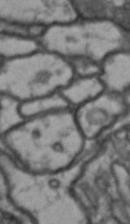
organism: Drosophila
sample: Brain